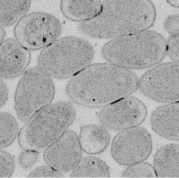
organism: E. coli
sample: Bacterial nucleoid